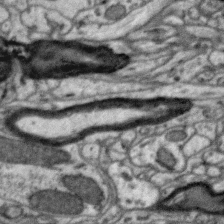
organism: Zebra finch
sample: Brain